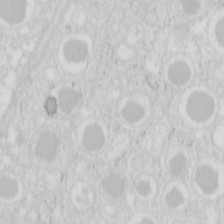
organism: Mouse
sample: Pancreas